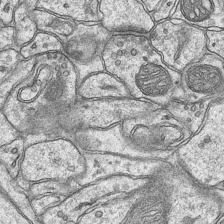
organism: Mouse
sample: CA1 Hippocampus